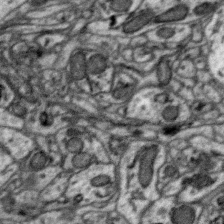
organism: Zebra finch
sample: Brain